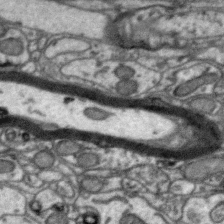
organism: Zebra finch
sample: Brain